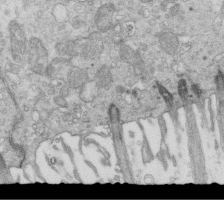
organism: Mouse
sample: Multiciliated cells